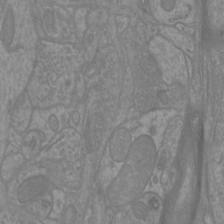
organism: Mouse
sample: Cortical neurons